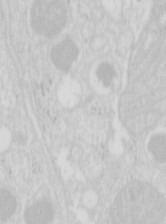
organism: Mouse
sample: Pancreas